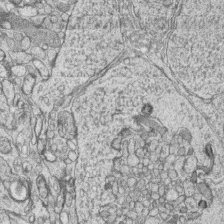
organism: Zebrafish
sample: synaptic ribbons in rod cells and cone cells